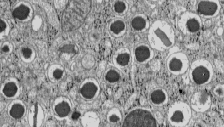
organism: C57BL Mouse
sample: Pancreatic islet